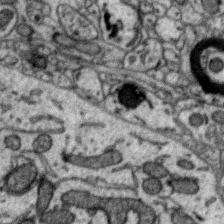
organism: Zebra finch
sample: Brain